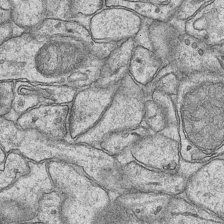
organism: Mouse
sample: CA1 Hippocampus